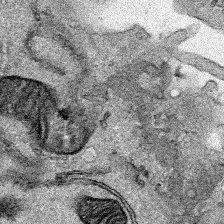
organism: Human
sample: Mitochondria in HCT116 cells